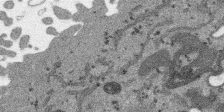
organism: Human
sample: Lung epithelial cells infected with SARS-CoV-2